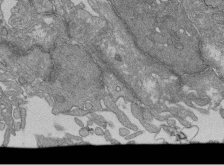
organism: Human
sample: Retinal organoid Rod and Cone cells